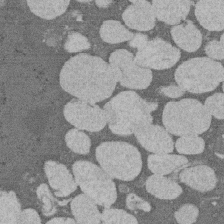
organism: Rat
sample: Salivary granule